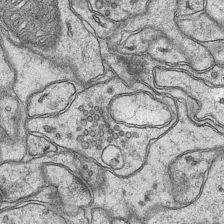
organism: Mouse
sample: CA1 Hippocampus